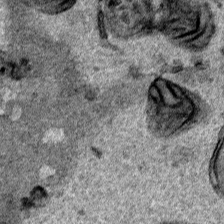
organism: Human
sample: Mitochondria in HCT116 cells